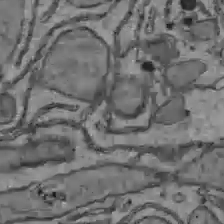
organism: C57BL Mouse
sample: Liver